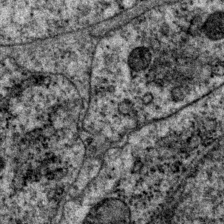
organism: P. pacificus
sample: Pharynx